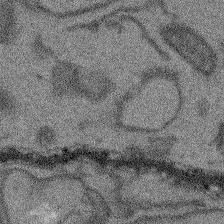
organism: Arabidopsis thaliana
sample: Root tip